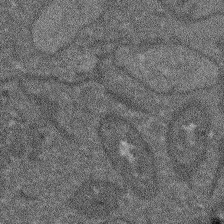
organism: Arabidopsis thaliana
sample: Root tip